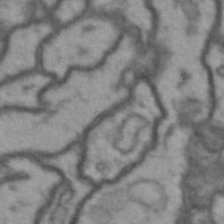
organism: Drosophila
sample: Brain